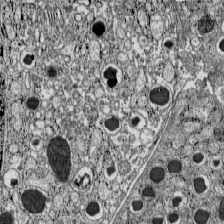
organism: C57BL Mouse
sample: Pancreatic islet